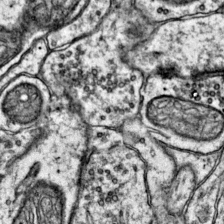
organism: Mouse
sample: Primary visual cortex